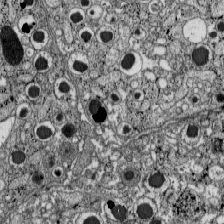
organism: C57BL Mouse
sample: Pancreatic islet